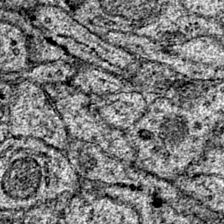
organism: Mouse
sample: Primary visual cortex